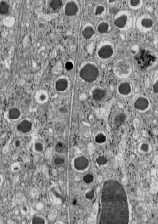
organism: C57BL Mouse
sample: Pancreatic islet